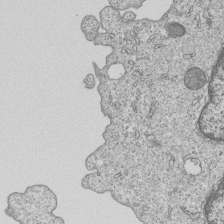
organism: Human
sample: MDA-MB-231 cells